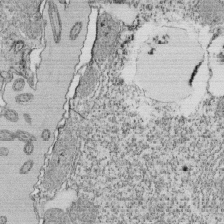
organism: Tetrahymena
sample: Cilia in tetrahymena